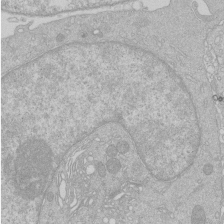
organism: Human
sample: Macrophage cells